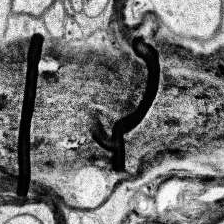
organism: Human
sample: Temporal Lobe